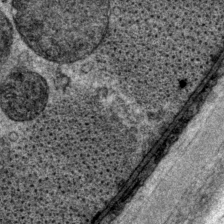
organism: P. pacificus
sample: Pharynx